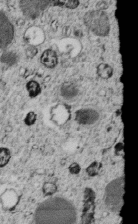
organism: C. elegans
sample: C. elegans embryo early stage